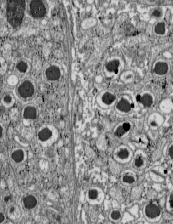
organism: C57BL Mouse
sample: Pancreatic islet